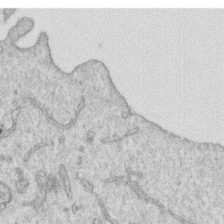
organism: Human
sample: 1205lu cells